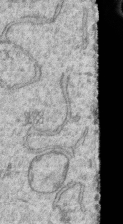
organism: Human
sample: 1205lu cells